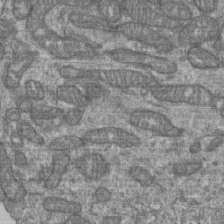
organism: Human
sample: Retinal organoid Rod and Cone cells